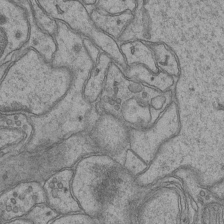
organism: Mouse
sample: CA1 Hippocampus